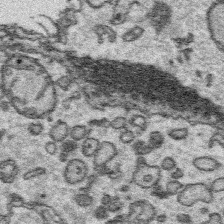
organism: Platynereis dumerilii